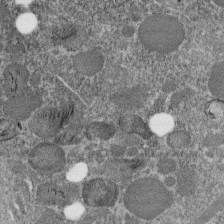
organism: C. elegans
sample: C. elegans embryo early stage